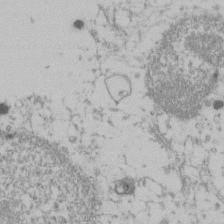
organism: Human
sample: U2-OS cells